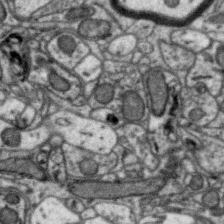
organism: Zebra finch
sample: Brain